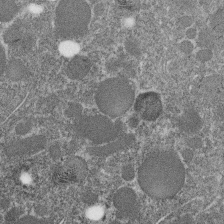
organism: C. elegans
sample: C. elegans embryo early stage